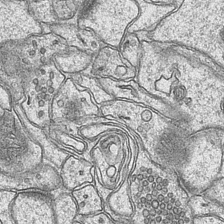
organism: Mouse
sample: CA1 Hippocampus